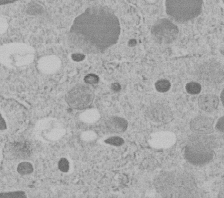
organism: C. elegans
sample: C. elegans embryo early stage